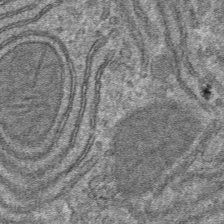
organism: Mouse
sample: Mouse hepatocytes